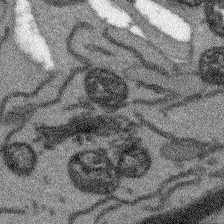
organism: Arabidopsis thaliana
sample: Root tip